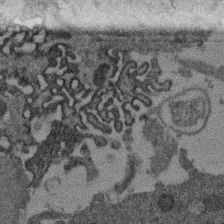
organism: Mouse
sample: Dividing mouse embryo 1 cell stage